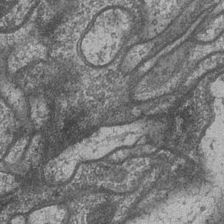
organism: Drosophila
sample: Optic medulla